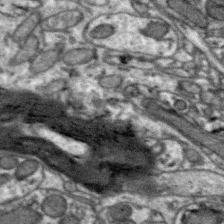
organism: Zebra finch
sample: Brain